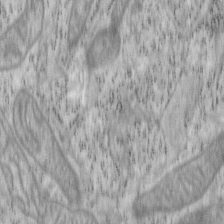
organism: Human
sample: HeLa cells